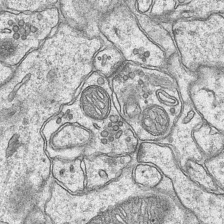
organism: Mouse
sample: CA1 Hippocampus